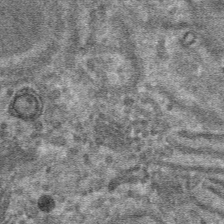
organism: Mouse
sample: Mouse hepatocytes